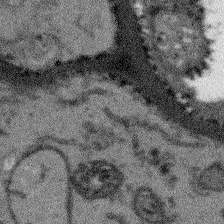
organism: Arabidopsis thaliana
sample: Root tip